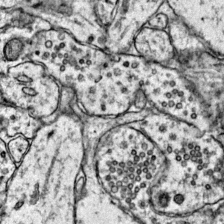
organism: Mouse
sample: Primary visual cortex